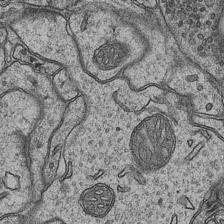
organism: Mouse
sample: CA1 Hippocampus